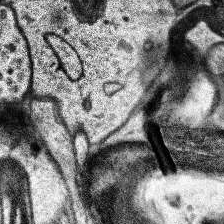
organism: Human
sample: Temporal Lobe